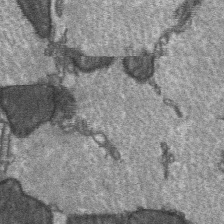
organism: C57BL Mouse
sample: Soleus